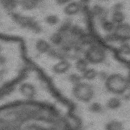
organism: Drosophila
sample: Brain